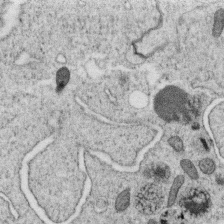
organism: C. elegans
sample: C. elegans oocyte; sperm cells